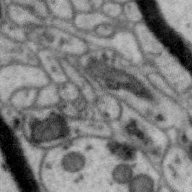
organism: Zebra finch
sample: Brain